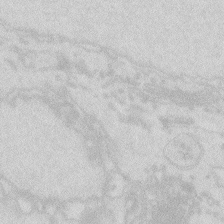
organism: Zebrafish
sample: Macrophage